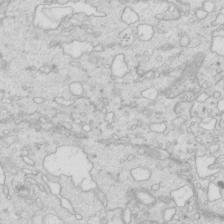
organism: Mouse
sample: Multiciliated cells